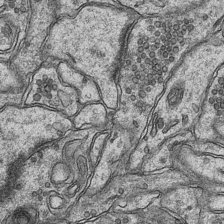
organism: Mouse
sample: CA1 Hippocampus